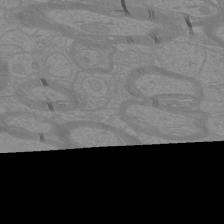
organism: Mouse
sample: Cortical neurons